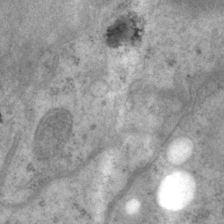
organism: P. pacificus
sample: Pharynx